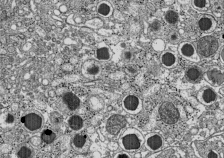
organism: C57BL Mouse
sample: Pancreatic islet